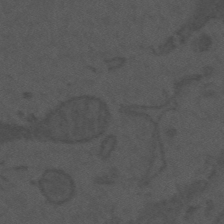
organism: Mouse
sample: Suprachiasmatic nucleus